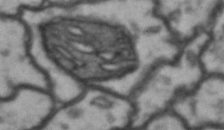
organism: Drosophila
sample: Brain